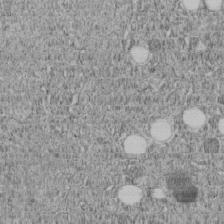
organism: C. elegans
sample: C. elegans embryo early stage